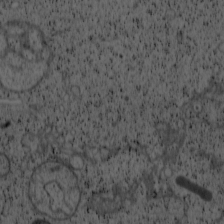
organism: African green monkey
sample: COS-7 cells